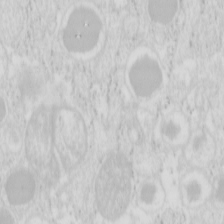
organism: Mouse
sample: Pancreas